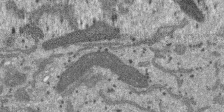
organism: Human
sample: Lung epithelial cells infected with SARS-CoV-2